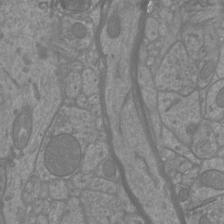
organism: Mouse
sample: Cortical neurons